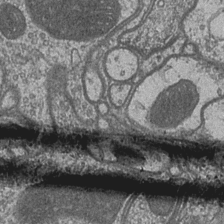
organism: Drosophila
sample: Optic medulla